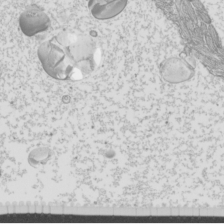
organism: Mouse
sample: Cilia; mouse epididymis